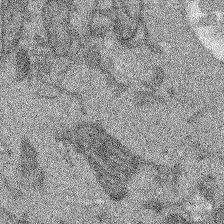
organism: Human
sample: HeLa cells